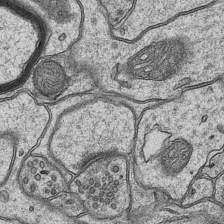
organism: Mouse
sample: CA1 Hippocampus